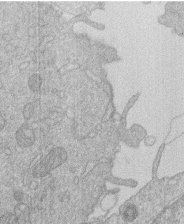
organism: Human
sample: Macrophage cells